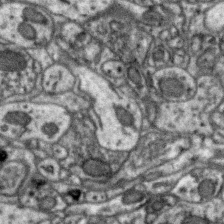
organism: Zebra finch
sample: Brain